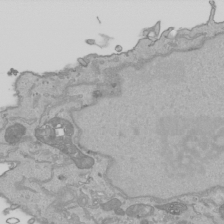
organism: Human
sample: Mitochondria in HCT116 cells